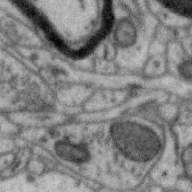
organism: Zebra finch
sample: Brain